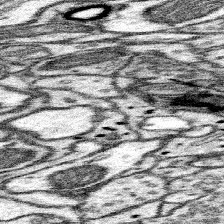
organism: Mouse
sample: Somatosensory cortex neuropil